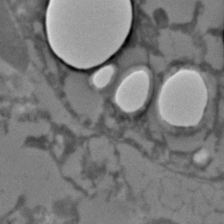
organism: C. elegans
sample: C. elegans embryo